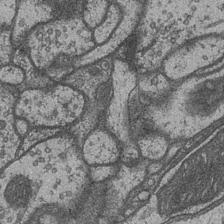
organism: Drosophila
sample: Optic medulla